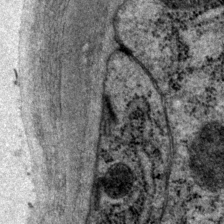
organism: P. pacificus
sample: Pharynx